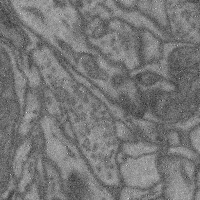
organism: Mouse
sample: Cerebral cortex